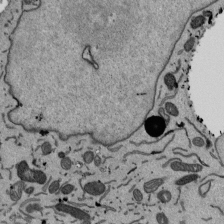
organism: Mouse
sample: ED-1 cell nuclei; centrioles